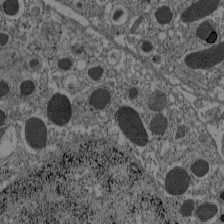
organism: C57BL Mouse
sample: Pancreatic islet